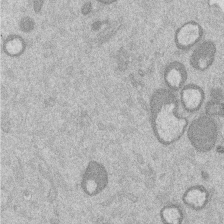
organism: Mouse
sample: Dividing mouse embryo 1 cell stage